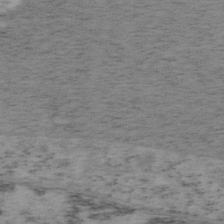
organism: Mouse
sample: OT-I killer T cells with ID8 ovarian cancer cells